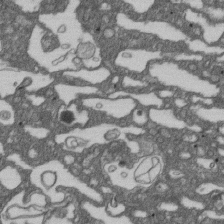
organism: Drosophila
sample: Nephrocyte